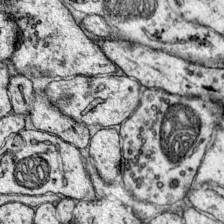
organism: Mouse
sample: Primary visual cortex